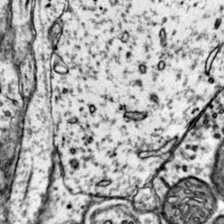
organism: Mouse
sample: Primary visual cortex